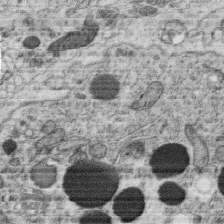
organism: C. elegans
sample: C. elegans oocyte; sperm cells